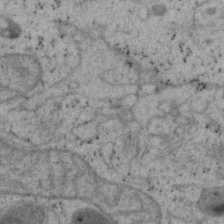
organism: Human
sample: HeLa cells